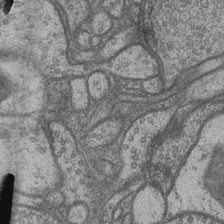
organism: Drosophila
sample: Optic medulla